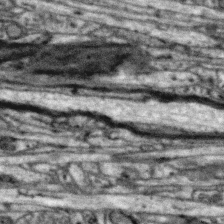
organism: Zebra finch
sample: Brain